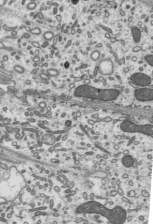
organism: Mouse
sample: Mouse epididymis efferent ductule cilia